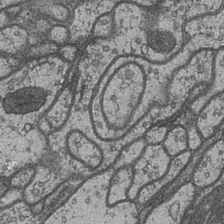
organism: Drosophila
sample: Optic medulla